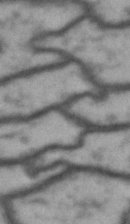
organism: Drosophila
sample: Brain